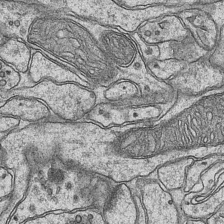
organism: Mouse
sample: CA1 Hippocampus